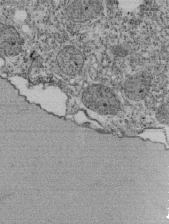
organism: Tetrahymena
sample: Cilia in tetrahymena